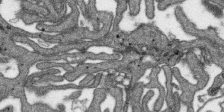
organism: Human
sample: Lung epithelial cells, uninfected (mock) control